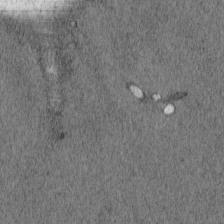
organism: African green monkey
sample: COS-7 cells